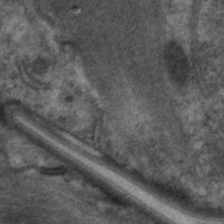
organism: C. elegans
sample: Pharynx